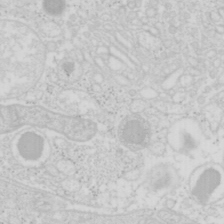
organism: Mouse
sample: Pancreas